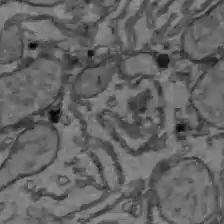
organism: C57BL Mouse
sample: Liver